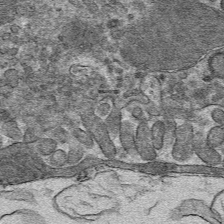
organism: Mouse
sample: Mouse hepatocytes